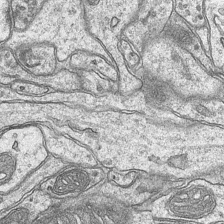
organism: Mouse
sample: CA1 Hippocampus